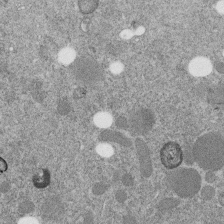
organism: C. elegans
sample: C. elegans embryo early stage